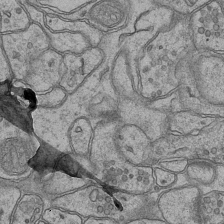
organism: Mouse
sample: CA1 Hippocampus